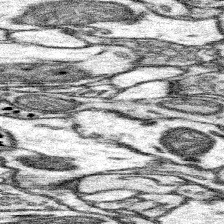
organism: Mouse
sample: Somatosensory cortex neuropil